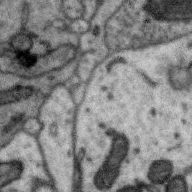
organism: Zebra finch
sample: Brain